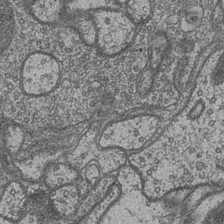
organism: Drosophila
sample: Optic medulla